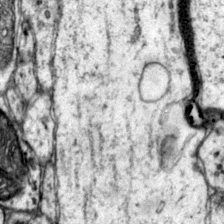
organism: Mouse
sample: Primary visual cortex